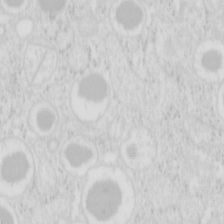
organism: Mouse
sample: Pancreas